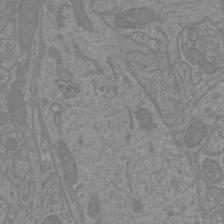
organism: Mouse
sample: Cortical neurons